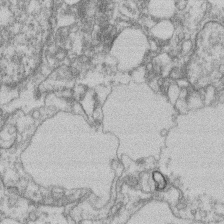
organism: Mouse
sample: T cell stromal cell synapse